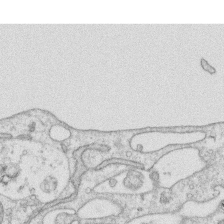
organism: Human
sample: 1205lu cells